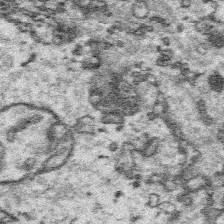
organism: Platynereis dumerilii